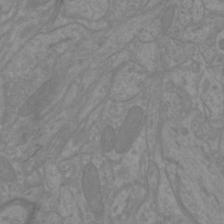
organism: Mouse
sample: Cortical neurons